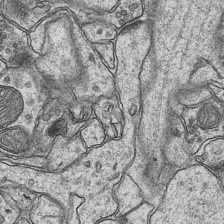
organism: Mouse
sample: CA1 Hippocampus